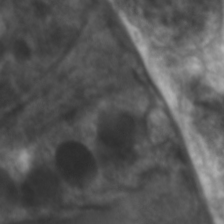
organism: C. elegans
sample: Pharynx